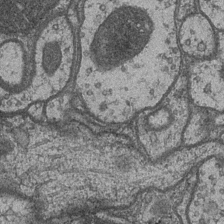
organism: Drosophila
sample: Optic medulla